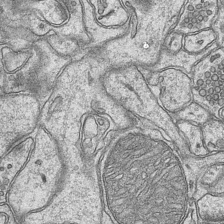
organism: Mouse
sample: CA1 Hippocampus